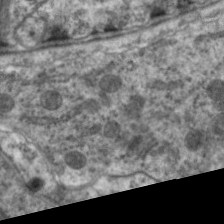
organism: C. elegans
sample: Pharynx